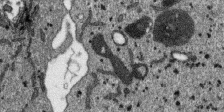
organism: Human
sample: Lung epithelial cells infected with SARS-CoV-2